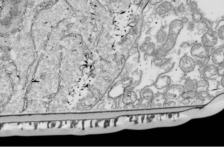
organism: Drosophila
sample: Cell division; meiosis; drosophila spermatocytes